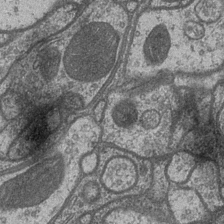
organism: Drosophila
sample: Optic medulla